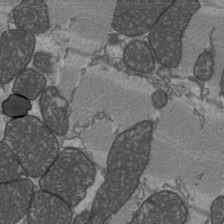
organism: C57BL Mouse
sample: Heart